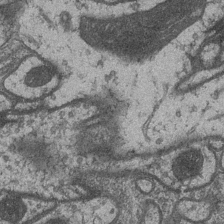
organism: Drosophila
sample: Optic medulla